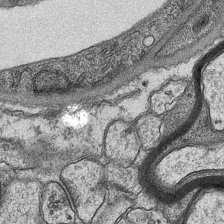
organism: Mouse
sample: CA1 Hippocampus